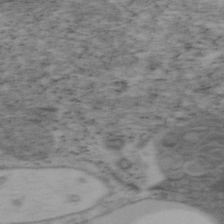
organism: Mouse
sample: OT-I killer T cells with ID8 ovarian cancer cells